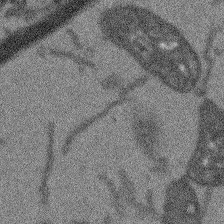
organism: Arabidopsis thaliana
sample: Root tip